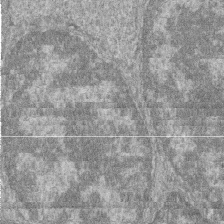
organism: Zebrafish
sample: Cilia; retinal pigment epithelium